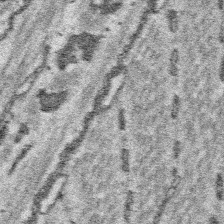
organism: Platynereis dumerilii